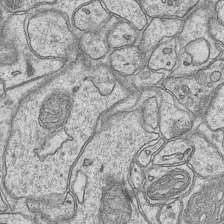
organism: Mouse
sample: CA1 Hippocampus